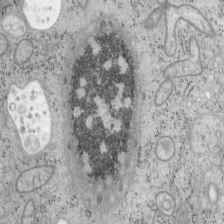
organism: Mouse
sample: OT-I killer T cells with ID8 ovarian cancer cells